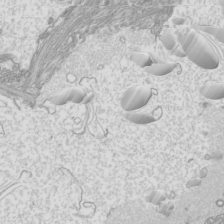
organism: Mouse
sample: Cilia; mouse epididymis